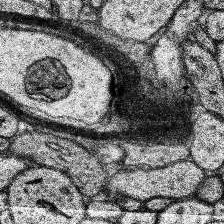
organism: Human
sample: Temporal Lobe